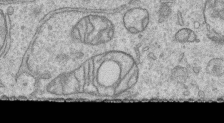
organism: Human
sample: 1205lu cells